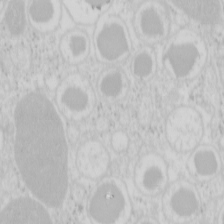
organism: Mouse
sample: Pancreas